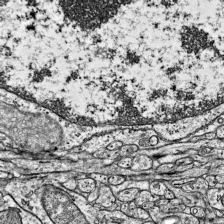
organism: Mouse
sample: Visual Cortex